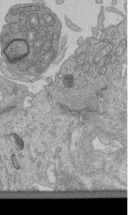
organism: Human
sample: Retinal organoid Rod and Cone cells